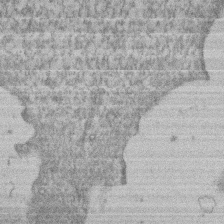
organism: Mouse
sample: T cell stromal cell synapse